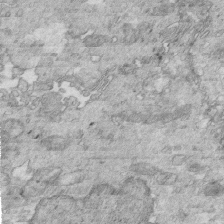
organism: Mouse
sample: Multiciliated cells